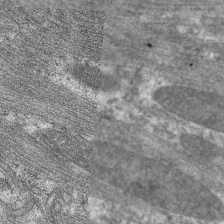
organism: C. elegans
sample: Pharynx